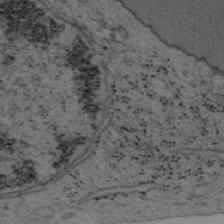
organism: Human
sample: HeLa cells